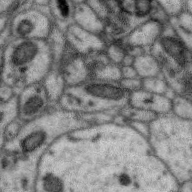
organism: Zebra finch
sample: Brain